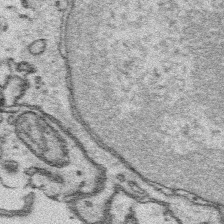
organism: Platynereis dumerilii